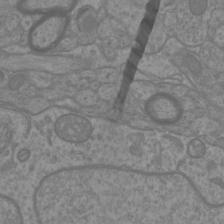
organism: Mouse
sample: Cortical neurons